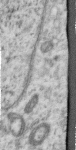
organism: Human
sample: Centriole in RPE cells